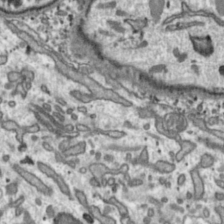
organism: Toxoplasma gondii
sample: Parasites in a vacuole inside a host cell